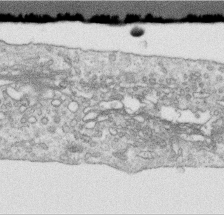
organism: Human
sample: Centriole in RPE cells